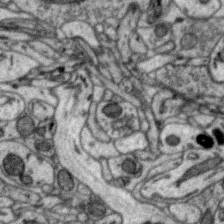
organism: Zebra finch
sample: Brain